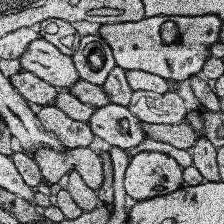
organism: Human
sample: Temporal Lobe